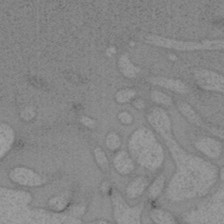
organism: Mouse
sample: OT-I killer T cells with ID8 ovarian cancer cells